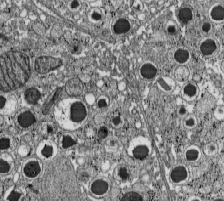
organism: C57BL Mouse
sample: Pancreatic islet